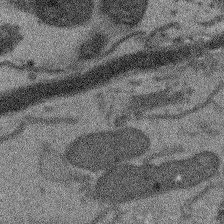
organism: Arabidopsis thaliana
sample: Root tip